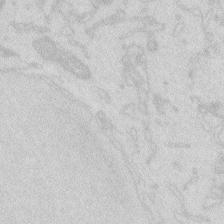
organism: Zebrafish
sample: Macrophage